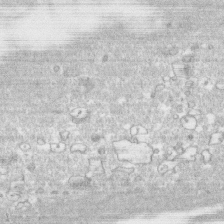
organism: Human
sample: CRL-1474